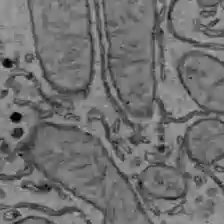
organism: C57BL Mouse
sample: Liver